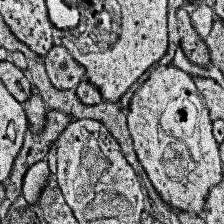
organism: Human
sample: Temporal Lobe